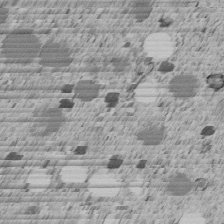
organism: C. elegans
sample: C. elegans embryo early stage